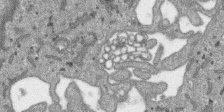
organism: Human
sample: Lung epithelial cells infected with SARS-CoV-2